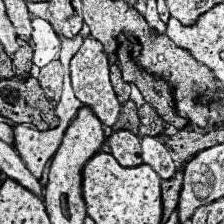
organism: Human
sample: Temporal Lobe